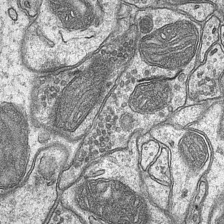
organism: Mouse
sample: CA1 Hippocampus